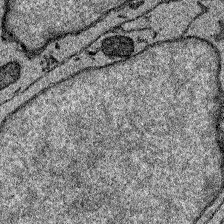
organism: Zebrafish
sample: Larval olfactory bulb